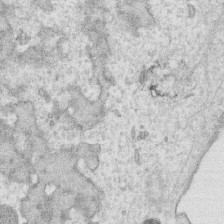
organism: Human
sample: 1205lu cells